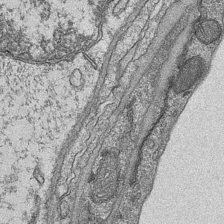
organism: Mouse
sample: CA1 Hippocampus